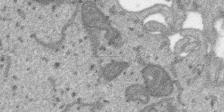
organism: Human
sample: Lung epithelial cells infected with SARS-CoV-2